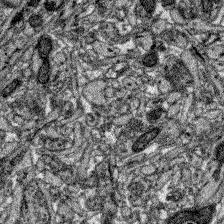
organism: Zebrafish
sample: Larval olfactory bulb